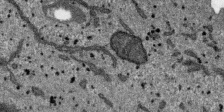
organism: Human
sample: Lung epithelial cells, uninfected (mock) control